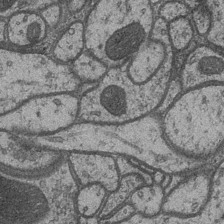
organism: Drosophila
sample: Optic medulla